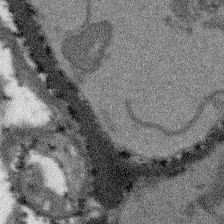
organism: Arabidopsis thaliana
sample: Root tip